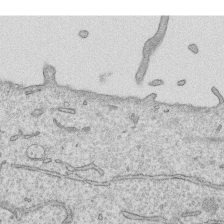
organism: Human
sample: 1205lu cells